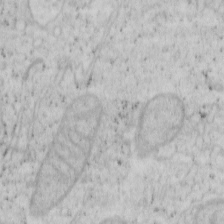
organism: Human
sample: HeLa cells